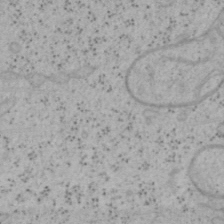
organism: Human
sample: HeLa cells